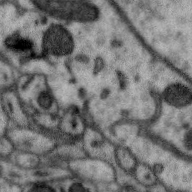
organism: Zebra finch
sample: Brain